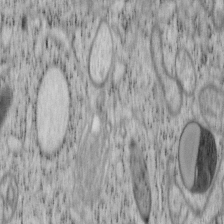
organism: Human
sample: HeLa cells